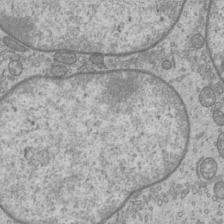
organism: Mouse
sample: Cilia; mouse epididymis